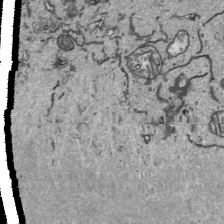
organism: Human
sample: Mitochondria in HCT116 cells